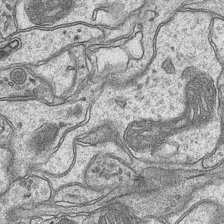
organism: Mouse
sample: CA1 Hippocampus